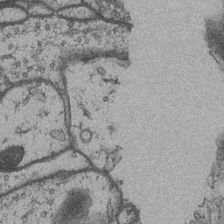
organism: Drosophila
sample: Optic medulla